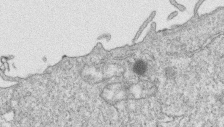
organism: Human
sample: HeLa cell HIV synapse